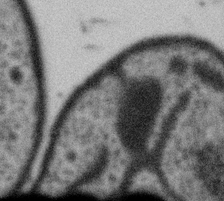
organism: Gemmata obscuriglobus